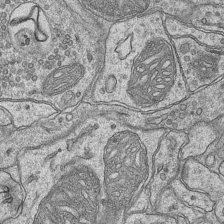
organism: Mouse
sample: CA1 Hippocampus